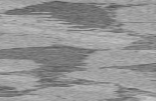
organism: C57BL Mouse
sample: Heart